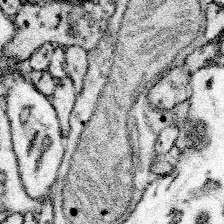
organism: Mouse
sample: Somatosensory cortex neuropil